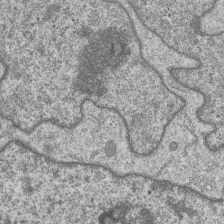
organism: Human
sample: MDA-MB-231 cells